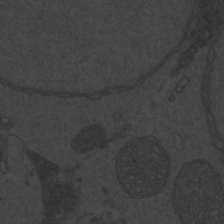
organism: Zebrafish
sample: Macrophage infected with Toxoplasma gondii